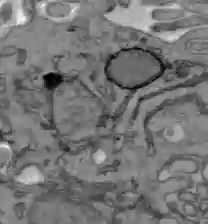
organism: C57BL Mouse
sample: Liver